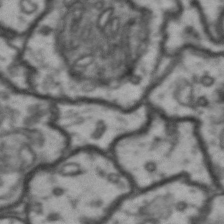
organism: Drosophila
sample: Brain